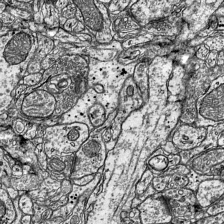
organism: Mouse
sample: Visual Cortex